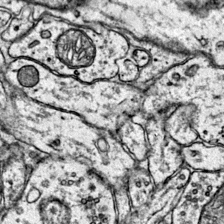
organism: Mouse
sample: Primary visual cortex